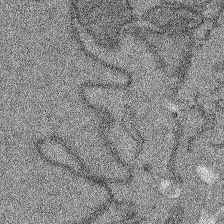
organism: Human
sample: HeLa cells